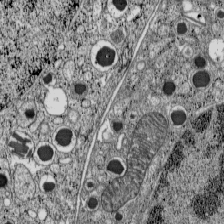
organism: C57BL Mouse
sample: Pancreatic islet